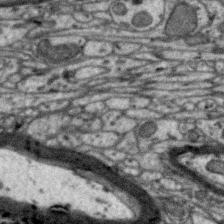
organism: Zebra finch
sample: Brain